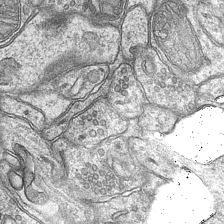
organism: Mouse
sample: CA1 Hippocampus